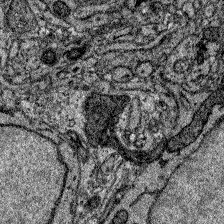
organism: Zebrafish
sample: Larval olfactory bulb